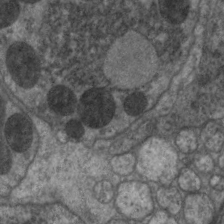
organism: C. elegans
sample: Pharynx